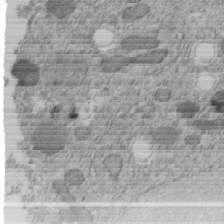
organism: C. elegans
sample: C. elegans embryo early stage